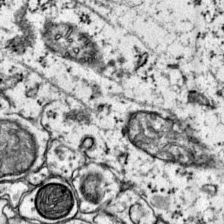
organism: Mouse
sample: Primary visual cortex